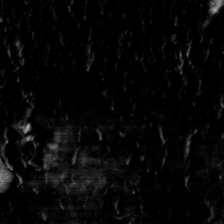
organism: Toxoplasma gondii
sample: Parasites in a vacuole inside a host cell